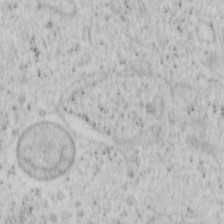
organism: Human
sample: HeLa cells